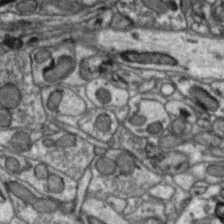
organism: Zebra finch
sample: Brain